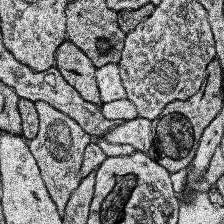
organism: Human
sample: Temporal Lobe